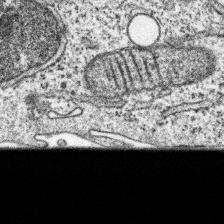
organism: Human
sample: HeLa cells